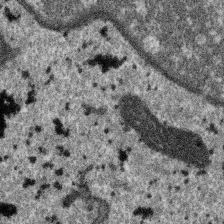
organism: Human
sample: Lung epithelial cells infected with SARS-CoV-2